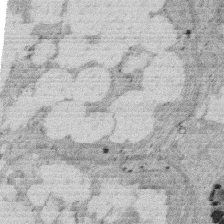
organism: Rat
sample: Salivary granule